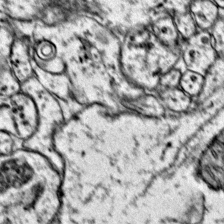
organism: Mouse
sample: Primary visual cortex